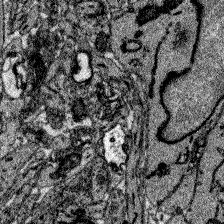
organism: Zebrafish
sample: Larval olfactory bulb